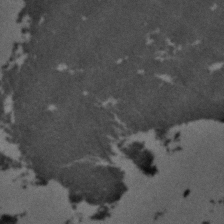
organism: C. elegans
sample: C. elegans embryo